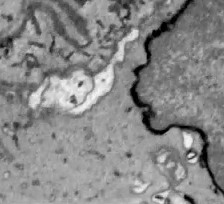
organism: Zebrafish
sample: Actinotrichia fibers